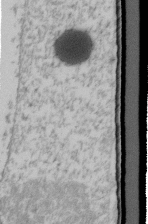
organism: Human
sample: U2-OS cells